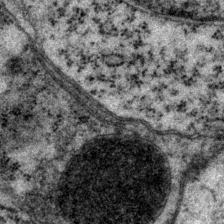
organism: P. pacificus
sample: Pharynx